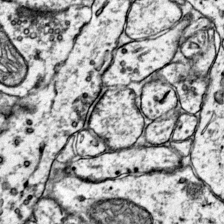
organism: Mouse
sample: Primary visual cortex